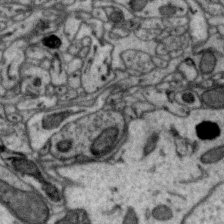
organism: Zebra finch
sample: Brain